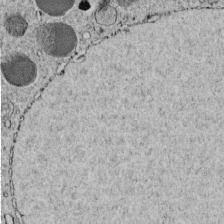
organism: C. elegans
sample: C. elegans embryo early stage